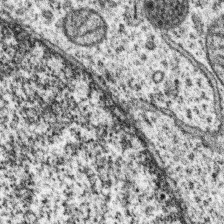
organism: Human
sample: HeLa cells